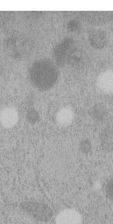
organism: C. elegans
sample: C. elegans embryo early stage